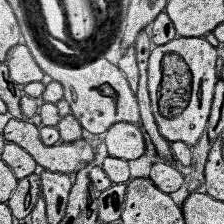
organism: Human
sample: Temporal Lobe